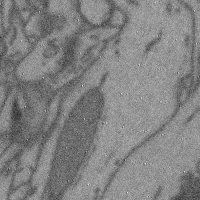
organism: Mouse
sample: Cerebral cortex